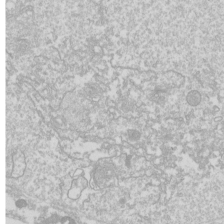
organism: Drosophila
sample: Cell division; meiosis; drosophila spermatocytes